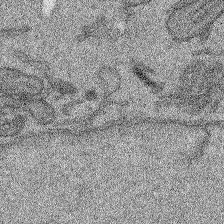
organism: Human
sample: HeLa cells